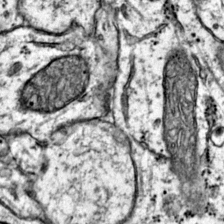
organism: Mouse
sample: Primary visual cortex